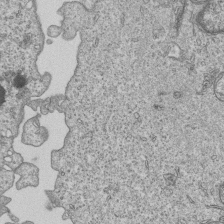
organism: Human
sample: MDA-MB-231 cells